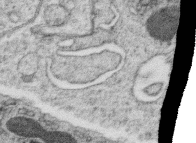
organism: C. elegans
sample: C. elegans oocyte; sperm cells